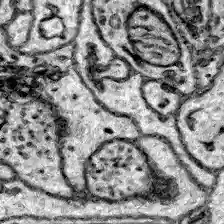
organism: Zebrafish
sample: Brain